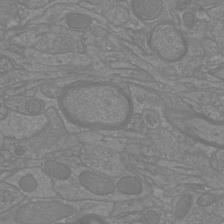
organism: Mouse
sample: Cortical neurons